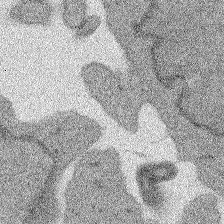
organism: Human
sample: HeLa cells